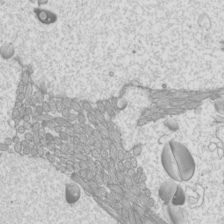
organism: Mouse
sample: Cilia; mouse epididymis